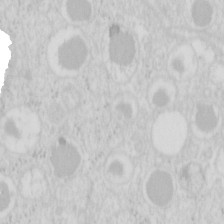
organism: Mouse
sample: Pancreas